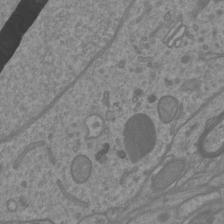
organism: Mouse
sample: Cortical neurons